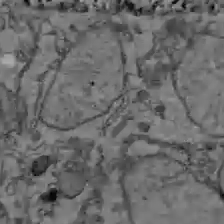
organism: C57BL Mouse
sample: Liver